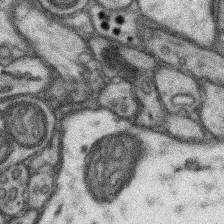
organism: Mouse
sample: Somatosensory cortex neuropil